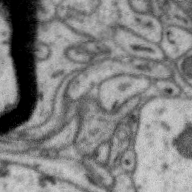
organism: Zebra finch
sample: Brain